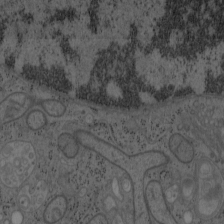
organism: Mouse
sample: OT-I killer T cells with ID8 ovarian cancer cells